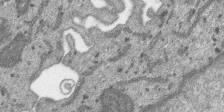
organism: Human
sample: Lung epithelial cells infected with SARS-CoV-2